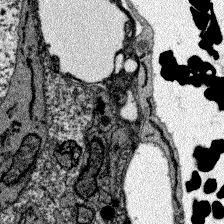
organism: Zebrafish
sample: Larval olfactory bulb